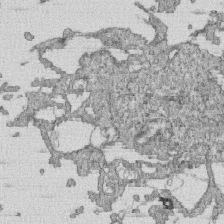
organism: Human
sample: HeLa cell HIV synapse